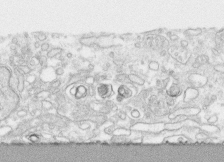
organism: Human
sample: CRL-1474